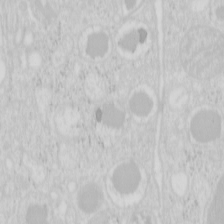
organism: Mouse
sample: Pancreas